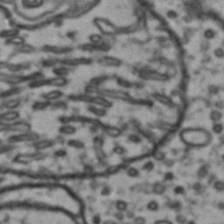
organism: Drosophila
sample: Brain